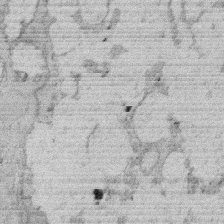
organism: Rat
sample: Salivary granule